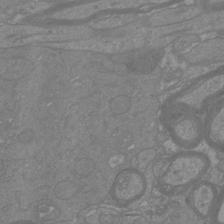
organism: Mouse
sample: Cortical neurons